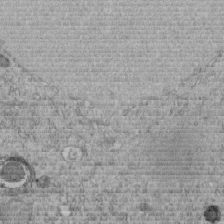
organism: C. elegans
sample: C. elegans embryo early stage